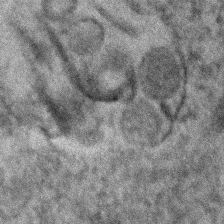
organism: Human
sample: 1205lu cells